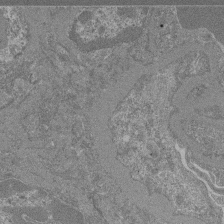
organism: Mouse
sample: Glomerulus